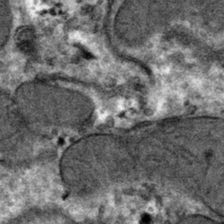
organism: Mouse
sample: Mouse hepatocytes